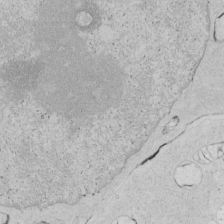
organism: Human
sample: Mitochondria in HCT116 cells